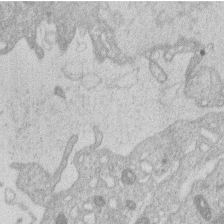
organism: Human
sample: Macrophage cells